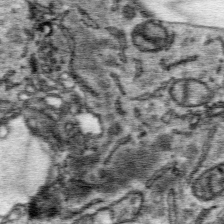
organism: Human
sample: HeLa cells